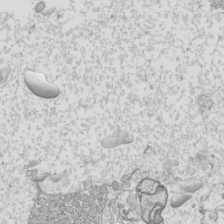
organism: Mouse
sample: Cilia; mouse epididymis